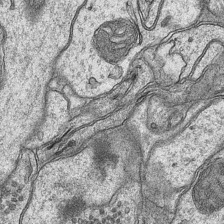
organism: Mouse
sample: CA1 Hippocampus